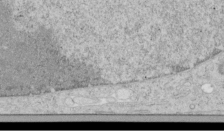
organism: Human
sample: Mitochondria in HCT116 cells